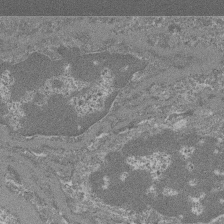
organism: Mouse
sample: Glomerulus